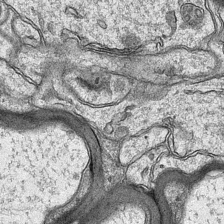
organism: Mouse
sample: CA1 Hippocampus